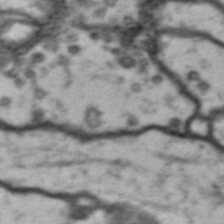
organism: Drosophila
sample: Brain